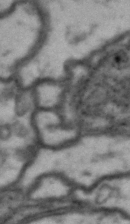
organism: Drosophila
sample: Brain